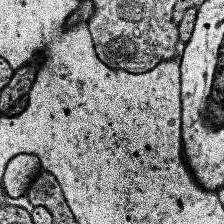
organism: Human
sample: Temporal Lobe